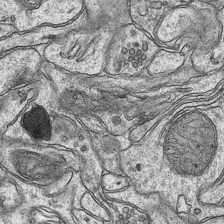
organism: Mouse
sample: CA1 Hippocampus